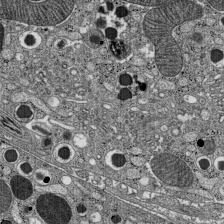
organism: C57BL Mouse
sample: Pancreatic islet